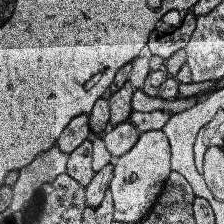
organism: Human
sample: Temporal Lobe